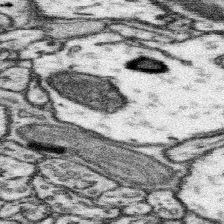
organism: Mouse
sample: Somatosensory cortex neuropil